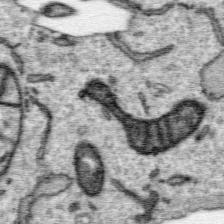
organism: Human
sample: HeLa cells